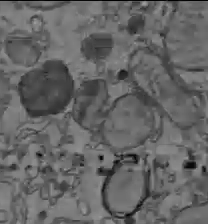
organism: C57BL Mouse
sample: Liver